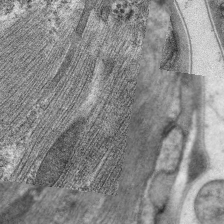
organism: C. elegans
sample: Pharynx